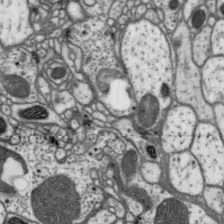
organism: Drosophila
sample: Protocerebral bridge